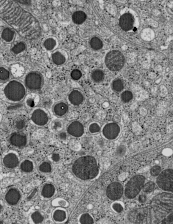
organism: C57BL Mouse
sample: Pancreatic islet